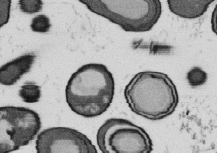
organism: B. subtilis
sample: Bacterial spore